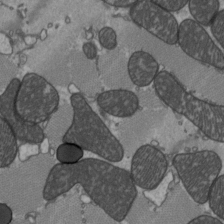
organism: C57BL Mouse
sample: Heart